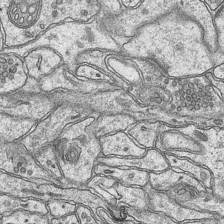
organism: Mouse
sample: CA1 Hippocampus